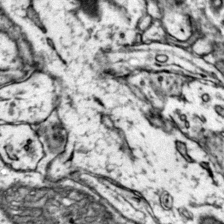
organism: Mouse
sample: Primary visual cortex